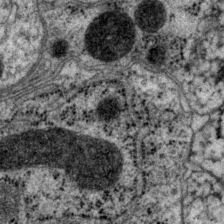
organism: P. pacificus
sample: Pharynx